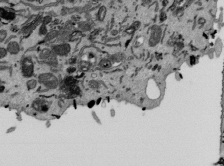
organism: Mouse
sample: ED-1 cell nuclei; centrioles